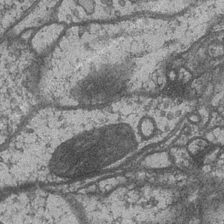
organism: Drosophila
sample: Optic medulla